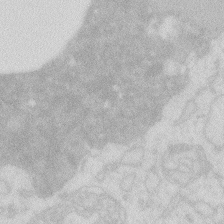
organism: Zebrafish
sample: Macrophage